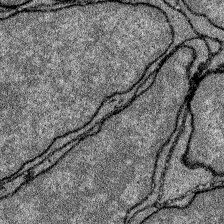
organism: Zebrafish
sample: Larval olfactory bulb